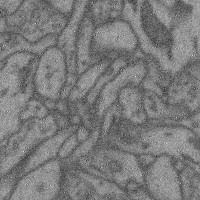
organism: Mouse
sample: Cerebral cortex